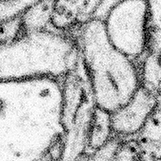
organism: Mouse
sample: Somatosensory cortex neuropil